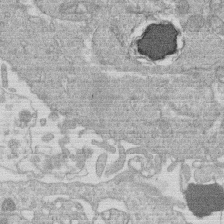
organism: Human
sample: Macrophage cells